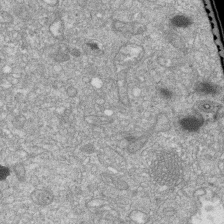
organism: Human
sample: HeLa cell HIV synapse